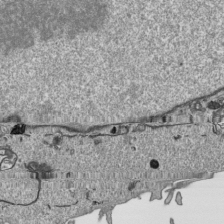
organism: Human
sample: Mitochondria in HCT116 cells